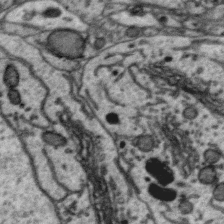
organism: Zebra finch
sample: Brain